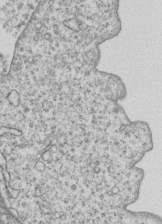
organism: Human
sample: MDA-MB-231 cells